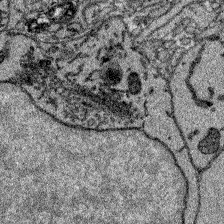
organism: Zebrafish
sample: Larval olfactory bulb